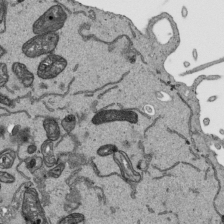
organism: Human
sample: Mitochondria in HCT116 cells